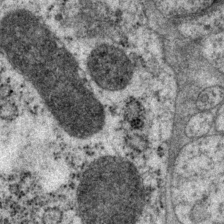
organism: P. pacificus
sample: Pharynx